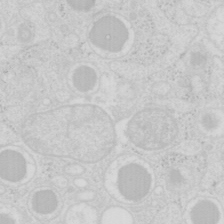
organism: Mouse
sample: Pancreas